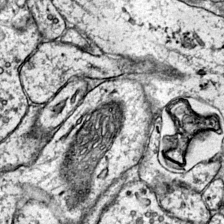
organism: Mouse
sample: Primary visual cortex